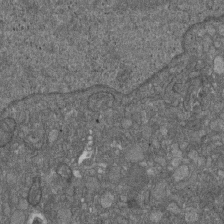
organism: Drosophila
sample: Nephrocyte